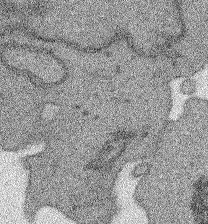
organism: Human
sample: HeLa cells